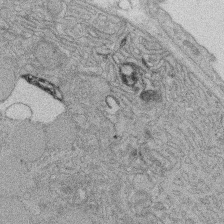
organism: Rat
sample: Salivary granule